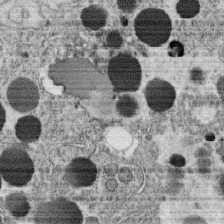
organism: C. elegans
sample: C. elegans oocyte; sperm cells